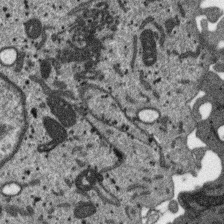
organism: Human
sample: Lung epithelial cells infected with SARS-CoV-2